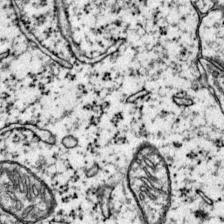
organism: Mouse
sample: Primary visual cortex